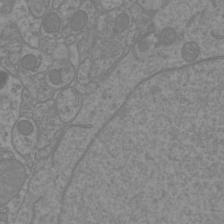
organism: Mouse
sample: Cortical neurons